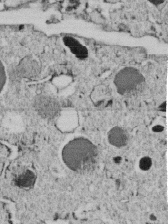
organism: C. elegans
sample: C. elegans embryo early stage